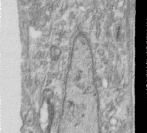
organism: Human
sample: Centriole in RPE cells